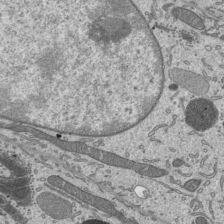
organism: Mouse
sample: Mouse epididymis efferent ductule cilia